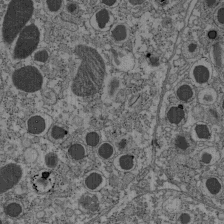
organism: C57BL Mouse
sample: Pancreatic islet